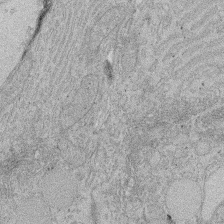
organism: Rat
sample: Salivary granule